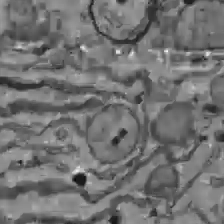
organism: C57BL Mouse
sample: Liver